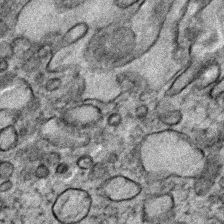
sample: Trachea